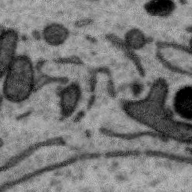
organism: Zebra finch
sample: Brain